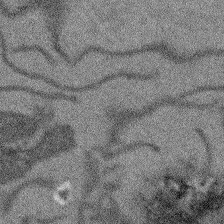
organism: Arabidopsis thaliana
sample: Root tip